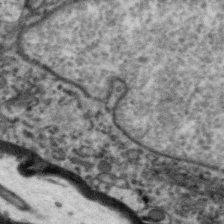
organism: Zebra finch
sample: Brain